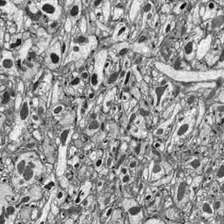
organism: Drosophila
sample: Optic lobe